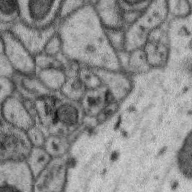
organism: Zebra finch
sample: Brain